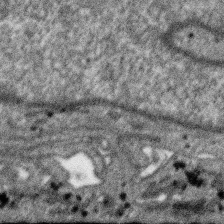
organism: Human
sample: Lung epithelial cells infected with SARS-CoV-2